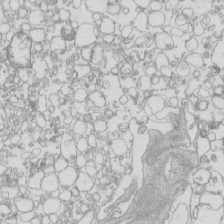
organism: Mouse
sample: Macrophages